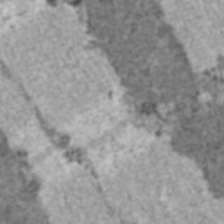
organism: C57BL Mouse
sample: Heart